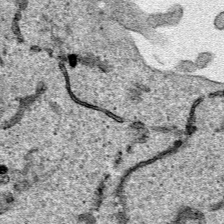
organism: Human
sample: Mitochondria in HCT116 cells